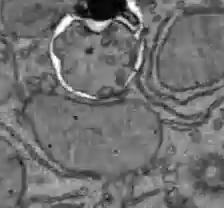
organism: C57BL Mouse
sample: Liver